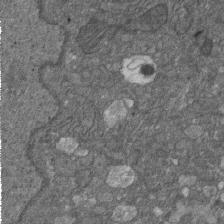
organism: Drosophila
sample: Nephrocyte